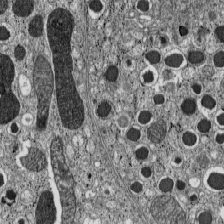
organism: C57BL Mouse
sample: Pancreatic islet